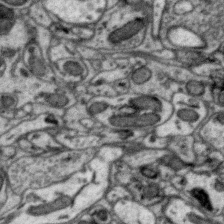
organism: Zebra finch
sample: Brain